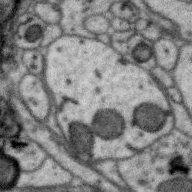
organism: Zebra finch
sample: Brain